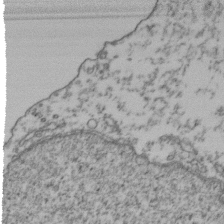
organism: Human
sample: Activated Jurkat CD4+ T cells